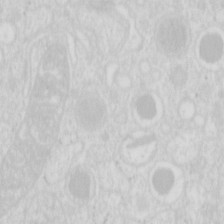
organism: Mouse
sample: Pancreas